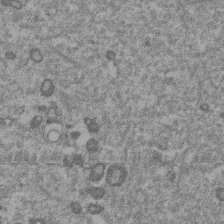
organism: Mouse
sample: Dividing mouse embryo 1 cell stage